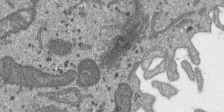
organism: Human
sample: Lung epithelial cells infected with SARS-CoV-2